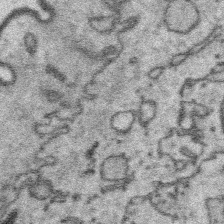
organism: Platynereis dumerilii